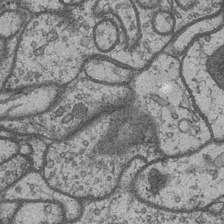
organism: Drosophila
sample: Optic medulla